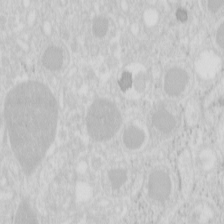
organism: Mouse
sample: Pancreas